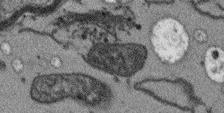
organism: Arabidopsis thaliana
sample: Root tip